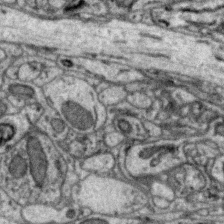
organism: Zebra finch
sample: Brain